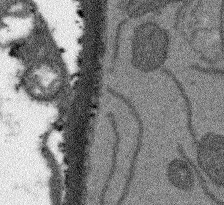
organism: Arabidopsis thaliana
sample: Root tip